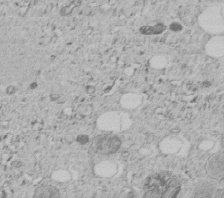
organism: C. elegans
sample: C. elegans embryo early stage